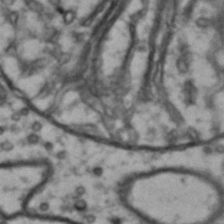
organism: Drosophila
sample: Brain